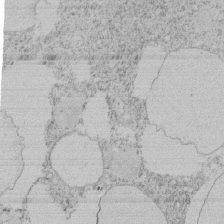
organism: Tetrahymena